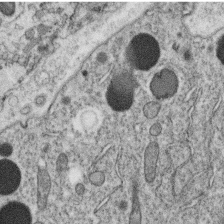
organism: C. elegans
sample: C. elegans oocyte; sperm cells